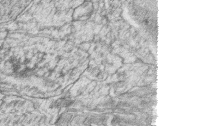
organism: Zebrafish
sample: synaptic ribbons in rod cells and cone cells